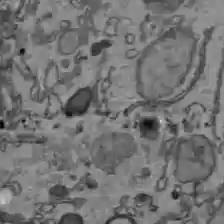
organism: C57BL Mouse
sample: Liver